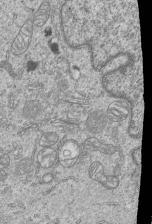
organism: Human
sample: MDA-MB-231 cells